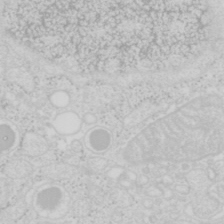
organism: Mouse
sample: Pancreas